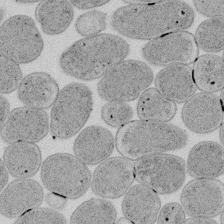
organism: E. coli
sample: Bacterial nucleoid